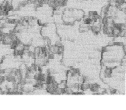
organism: Human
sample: HeLa cell HIV synapse